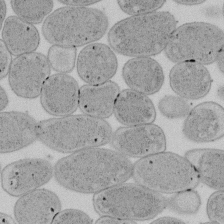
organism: E. coli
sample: Bacterial nucleoid